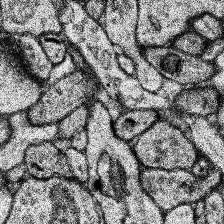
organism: Human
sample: Temporal Lobe